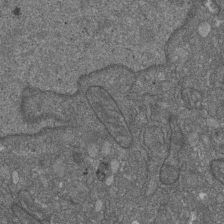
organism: Drosophila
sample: Nephrocyte